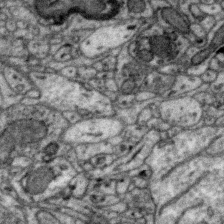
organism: Zebra finch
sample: Brain